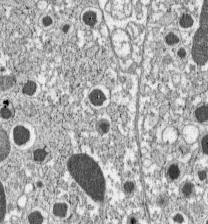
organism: C57BL Mouse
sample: Pancreatic islet